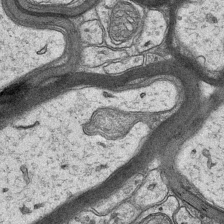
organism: Mouse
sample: CA1 Hippocampus